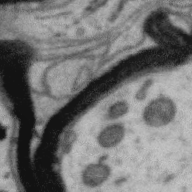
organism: Zebra finch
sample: Brain